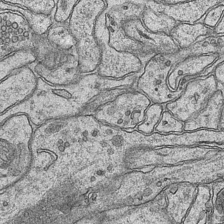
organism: Mouse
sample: CA1 Hippocampus